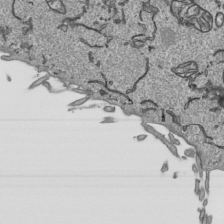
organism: Human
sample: Mitochondria in HCT116 cells